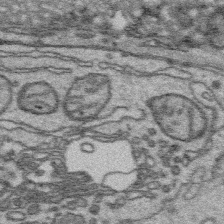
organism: Platynereis dumerilii